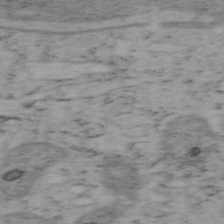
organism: Mouse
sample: OT-I killer T cells with ID8 ovarian cancer cells